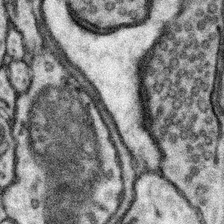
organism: Mouse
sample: Somatosensory cortex neuropil